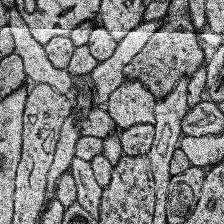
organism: Human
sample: Temporal Lobe